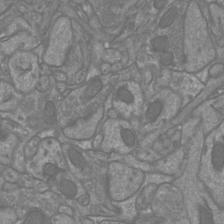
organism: Mouse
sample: Cortical neurons